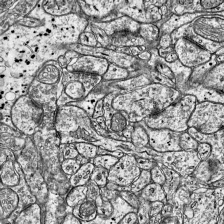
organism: Mouse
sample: Visual Cortex